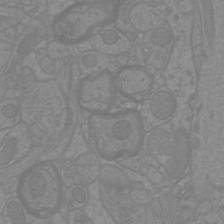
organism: Mouse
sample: Cortical neurons